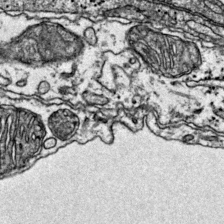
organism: Mouse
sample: Primary visual cortex